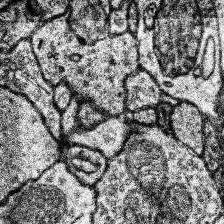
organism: Human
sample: Temporal Lobe